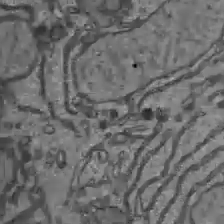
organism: C57BL Mouse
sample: Liver